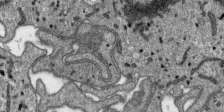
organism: Human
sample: Lung epithelial cells, uninfected (mock) control